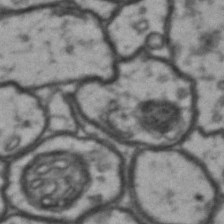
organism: Drosophila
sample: Brain